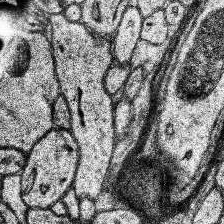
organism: Human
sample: Temporal Lobe